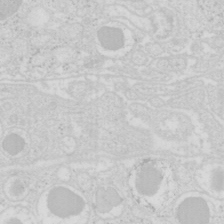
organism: Mouse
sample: Pancreas